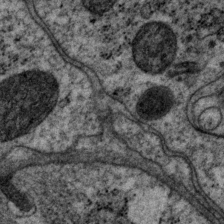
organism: P. pacificus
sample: Pharynx